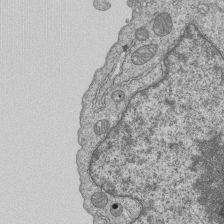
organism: Human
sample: MDA-MB-231 cells